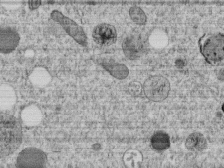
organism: C. elegans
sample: C. elegans embryo early stage